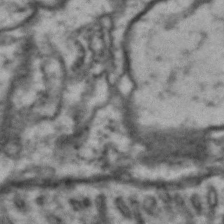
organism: Drosophila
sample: Brain